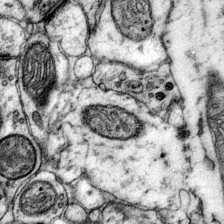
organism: Mouse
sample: Primary visual cortex